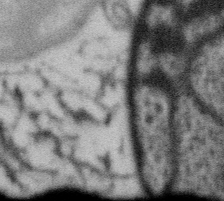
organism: Gemmata obscuriglobus